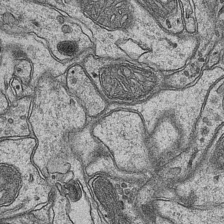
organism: Mouse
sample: CA1 Hippocampus